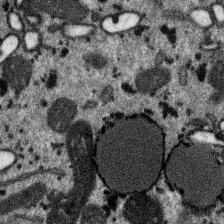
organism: Human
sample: Lung epithelial cells infected with SARS-CoV-2